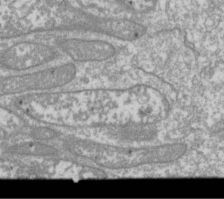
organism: Drosophila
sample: Cell division; meiosis; drosophila spermatocytes